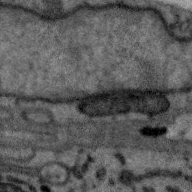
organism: Zebra finch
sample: Brain